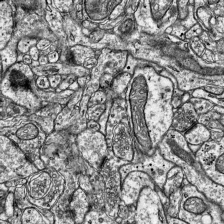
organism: Mouse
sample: Visual Cortex